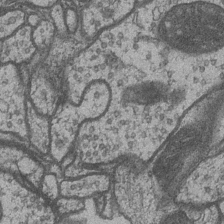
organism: Drosophila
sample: Optic medulla